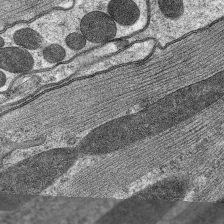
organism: C. elegans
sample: Pharynx